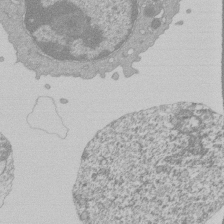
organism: Mouse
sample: Activated Pmel transgenic CD8+ T Cells